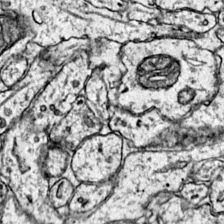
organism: Mouse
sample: Primary visual cortex